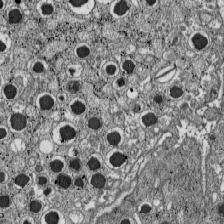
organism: C57BL Mouse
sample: Pancreatic islet